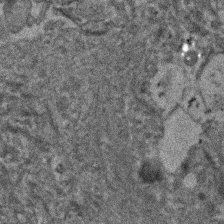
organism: Human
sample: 1205lu cells